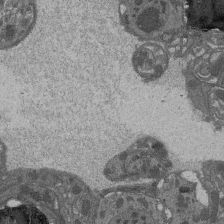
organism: Drosophila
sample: Antenna